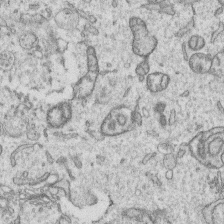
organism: Human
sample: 1205lu cells